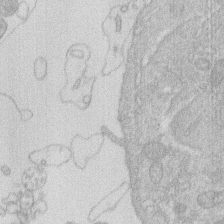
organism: Human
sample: Macrophage cells